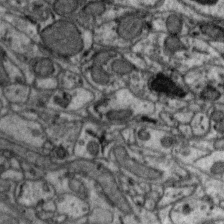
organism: Zebra finch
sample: Brain